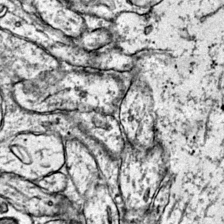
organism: Mouse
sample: Primary visual cortex